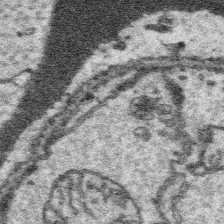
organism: Platynereis dumerilii